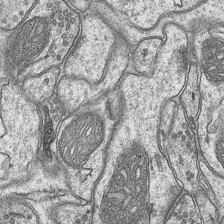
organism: Mouse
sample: CA1 Hippocampus